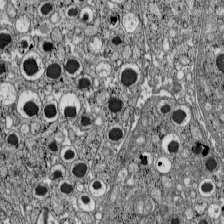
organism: C57BL Mouse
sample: Pancreatic islet